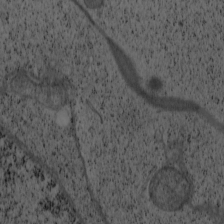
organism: African green monkey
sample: COS-7 cells